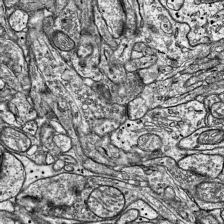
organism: Mouse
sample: Visual Cortex